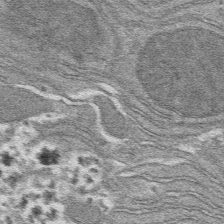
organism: Mouse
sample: Mouse hepatocytes